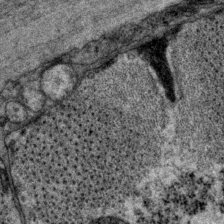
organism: P. pacificus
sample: Pharynx